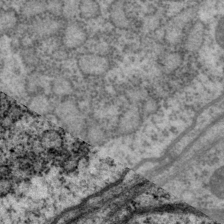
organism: P. pacificus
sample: Pharynx